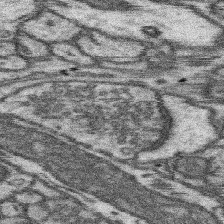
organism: Mouse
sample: Somatosensory cortex neuropil